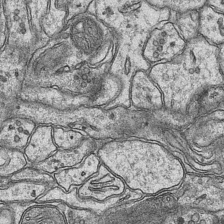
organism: Mouse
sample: CA1 Hippocampus